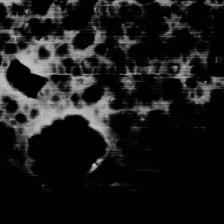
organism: Human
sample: HIV infected U937 cells